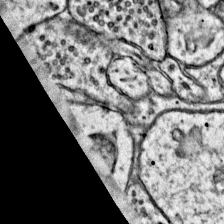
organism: Mouse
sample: Primary visual cortex